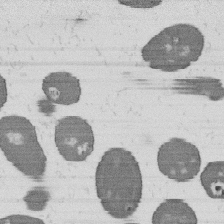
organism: B. subtilis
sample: Bacterial spore